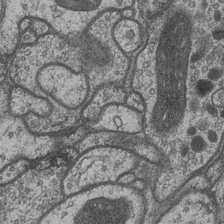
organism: Drosophila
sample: Optic medulla